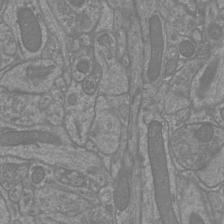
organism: Mouse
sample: Cortical neurons